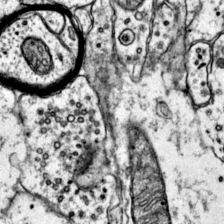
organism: Mouse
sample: Primary visual cortex